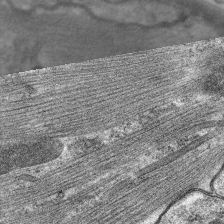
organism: C. elegans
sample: Pharynx